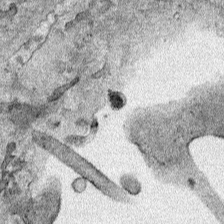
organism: Human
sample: Mitochondria in HCT116 cells